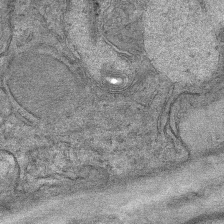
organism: Mouse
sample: Mouse Salivary gland